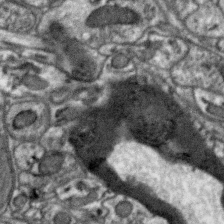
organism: Zebra finch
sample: Brain